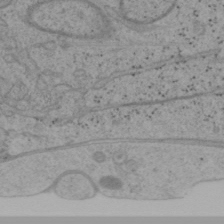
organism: Human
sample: HeLa cells